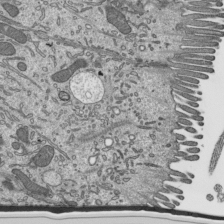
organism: Mouse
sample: Mouse epididymis efferent ductule cilia